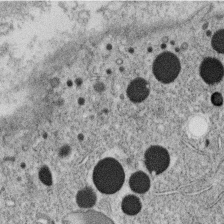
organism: C. elegans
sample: C. elegans oocyte; sperm cells